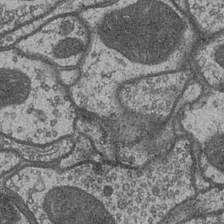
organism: Drosophila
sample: Optic medulla